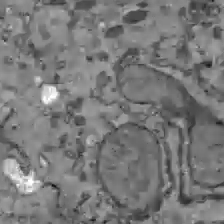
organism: C57BL Mouse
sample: Liver